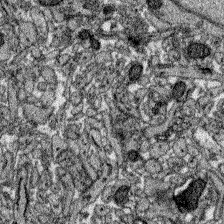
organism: Zebrafish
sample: Larval olfactory bulb